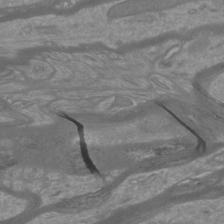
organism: Mouse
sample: Cortical neurons